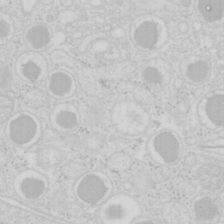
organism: Mouse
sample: Pancreas